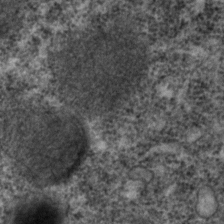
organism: C. elegans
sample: C. elegans embryo